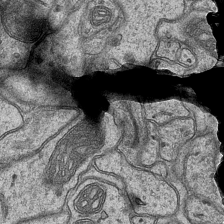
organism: Mouse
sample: CA1 Hippocampus